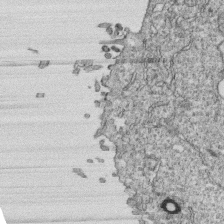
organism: Human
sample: HeLa cell HIV synapse